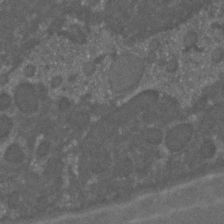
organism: C. elegans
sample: C. elegans embryo